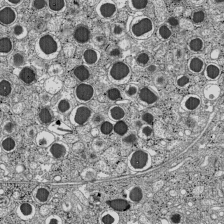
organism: C57BL Mouse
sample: Pancreatic islet